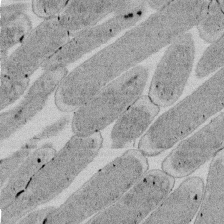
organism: E. coli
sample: Bacterial nucleoid